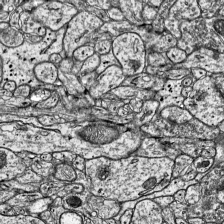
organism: Mouse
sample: Visual Cortex